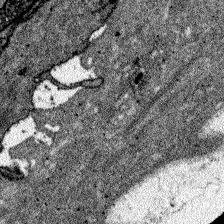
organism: Zebrafish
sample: Larval olfactory bulb